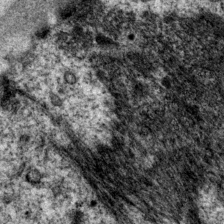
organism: P. pacificus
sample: Pharynx